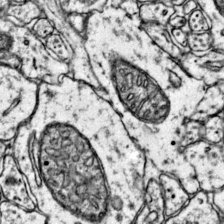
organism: Mouse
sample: Primary visual cortex